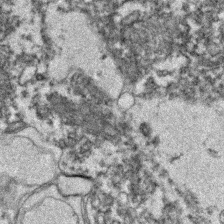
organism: Zebrafish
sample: Zebrafish embryo